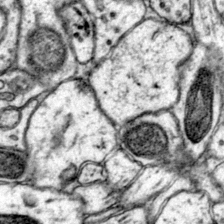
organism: Mouse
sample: Primary visual cortex